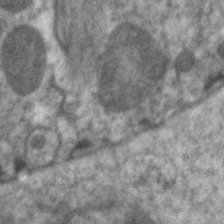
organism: C. elegans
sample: Pharynx